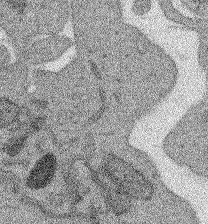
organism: Human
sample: HeLa cells